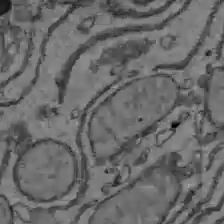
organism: C57BL Mouse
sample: Liver